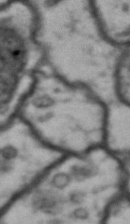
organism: Drosophila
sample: Brain